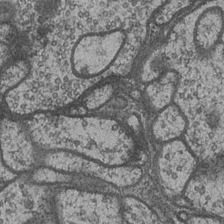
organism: Drosophila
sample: Optic medulla